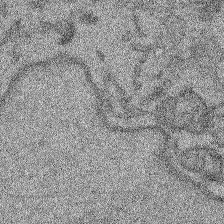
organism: Human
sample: HeLa cells